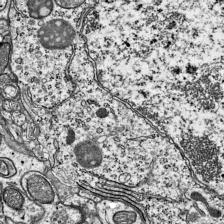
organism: Mouse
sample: Visual Cortex